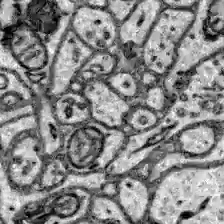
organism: Zebrafish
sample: Brain